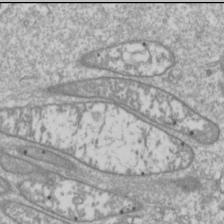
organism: Drosophila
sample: Cell division; meiosis; drosophila spermatocytes